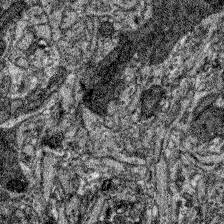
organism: Zebrafish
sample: Larval olfactory bulb